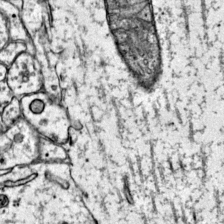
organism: Mouse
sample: Primary visual cortex